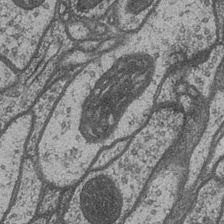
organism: Drosophila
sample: Optic medulla